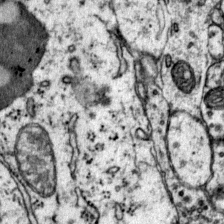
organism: Mouse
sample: Primary visual cortex